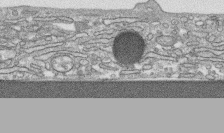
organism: Human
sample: CRL-1474